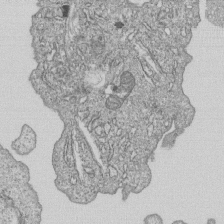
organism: Human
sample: MDA-MB-231 cells